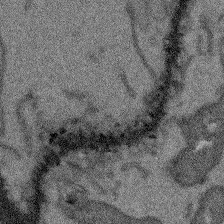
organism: Arabidopsis thaliana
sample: Root tip